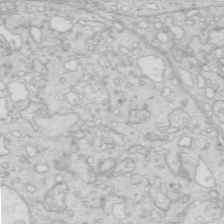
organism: Mouse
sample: Multiciliated cells